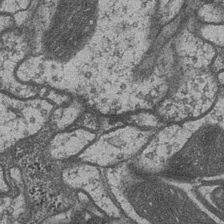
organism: Drosophila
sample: Optic medulla